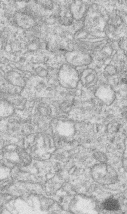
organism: Human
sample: HeLa cell HIV synapse